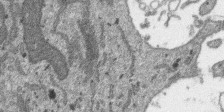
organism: Human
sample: Lung epithelial cells infected with SARS-CoV-2